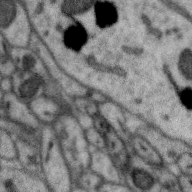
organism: Zebra finch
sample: Brain